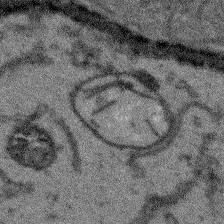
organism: Arabidopsis thaliana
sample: Root tip